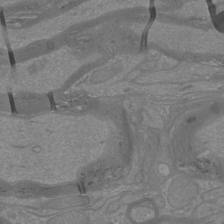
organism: Mouse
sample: Cortical neurons